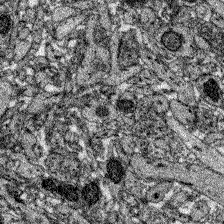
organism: Zebrafish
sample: Larval olfactory bulb